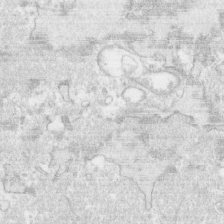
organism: Human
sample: CRL-1474